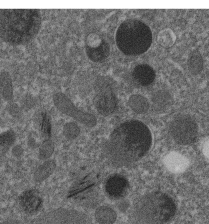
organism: C. elegans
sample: C. elegans embryo early stage